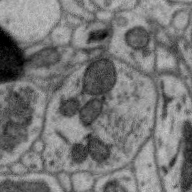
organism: Zebra finch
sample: Brain